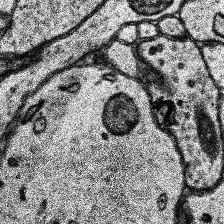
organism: Human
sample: Temporal Lobe